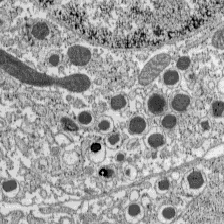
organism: C57BL Mouse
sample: Pancreatic islet